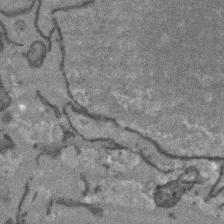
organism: Arabidopsis thaliana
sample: Root tip